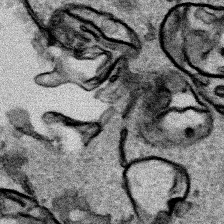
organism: Human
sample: Mitochondria in HCT116 cells